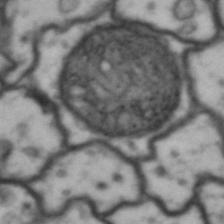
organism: Drosophila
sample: Brain